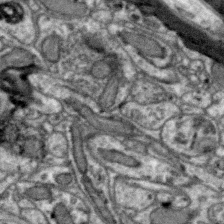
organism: Zebra finch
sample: Brain